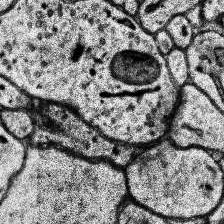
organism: Human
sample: Temporal Lobe